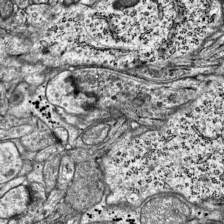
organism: Mouse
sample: Visual Cortex